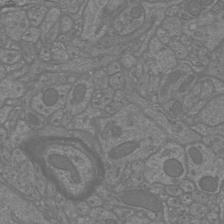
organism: Mouse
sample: Cortical neurons